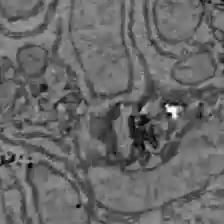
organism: C57BL Mouse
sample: Liver